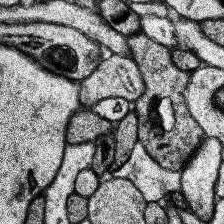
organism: Human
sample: Temporal Lobe